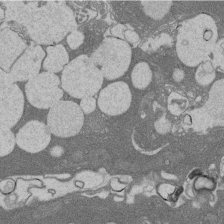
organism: Rat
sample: Salivary granule